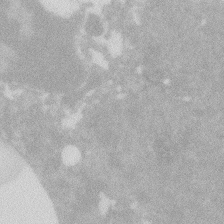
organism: Zebrafish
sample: Macrophage